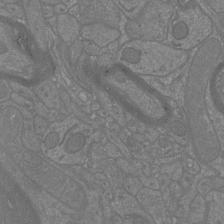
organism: Mouse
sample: Cortical neurons